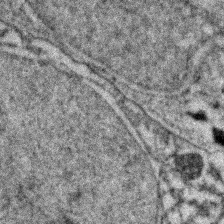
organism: Zebrafish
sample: Zebrafish embryo